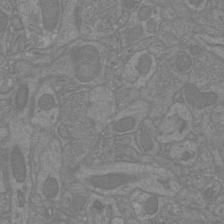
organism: Mouse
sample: Cortical neurons